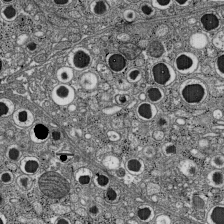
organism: C57BL Mouse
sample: Pancreatic islet